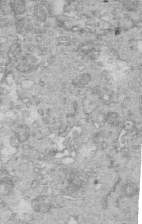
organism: Mouse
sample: Multiciliated cells